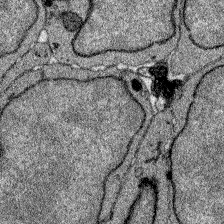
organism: Zebrafish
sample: Larval olfactory bulb